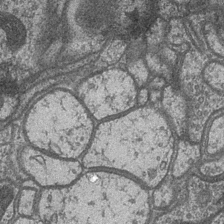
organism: Drosophila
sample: Optic medulla